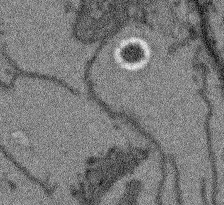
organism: Arabidopsis thaliana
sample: Root tip